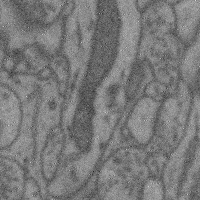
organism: Mouse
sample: Cerebral cortex